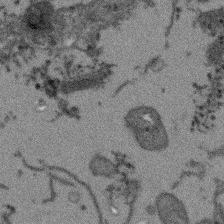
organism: Arabidopsis thaliana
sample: Root tip